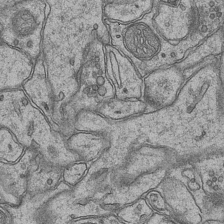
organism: Mouse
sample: CA1 Hippocampus